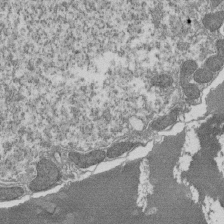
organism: Tetrahymena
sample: Cilia in tetrahymena